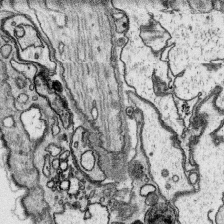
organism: Platynereis dumerilii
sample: Parapodia